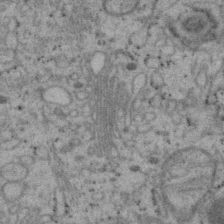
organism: Human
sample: HeLa cells